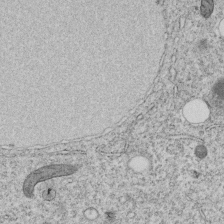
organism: C. elegans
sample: C. elegans embryo early stage